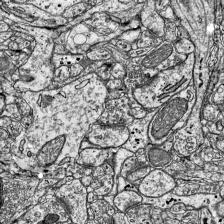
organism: Mouse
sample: Visual Cortex